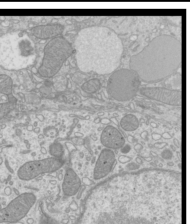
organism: Mouse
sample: Cilia; mouse epididymis